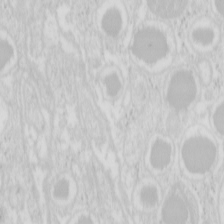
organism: Mouse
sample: Pancreas